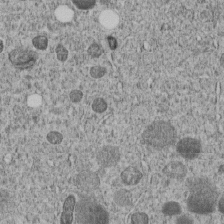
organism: C. elegans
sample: C. elegans embryo early stage